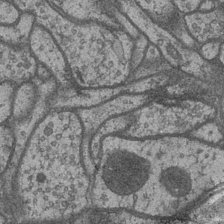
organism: Drosophila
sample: Optic medulla